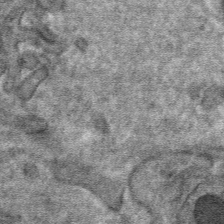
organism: Mouse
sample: Mouse hepatocytes